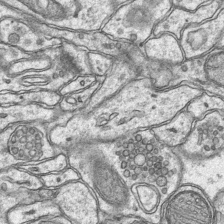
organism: Mouse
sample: CA1 Hippocampus